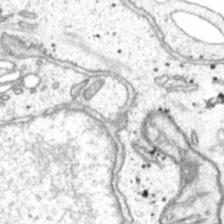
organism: Human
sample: HeLa cells